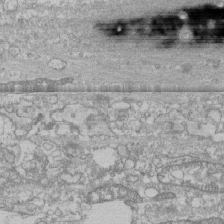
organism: Human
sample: CRL-1474